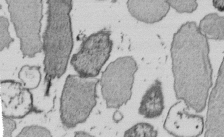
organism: E. coli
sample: Bacterial nucleoid